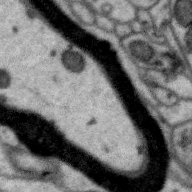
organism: Zebra finch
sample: Brain